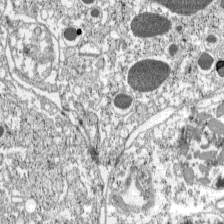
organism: C57BL Mouse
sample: Pancreatic islet